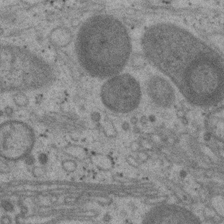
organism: Human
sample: HeLa cells